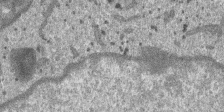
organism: Human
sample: Lung epithelial cells infected with SARS-CoV-2